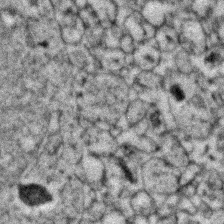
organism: Zebrafish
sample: Zebrafish embryo